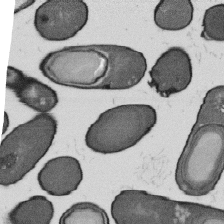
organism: B. subtilis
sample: Bacterial spore